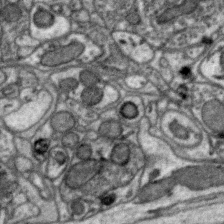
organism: Zebra finch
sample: Brain